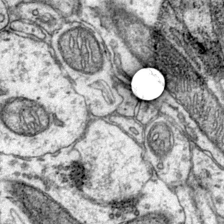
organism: Mouse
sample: Primary visual cortex